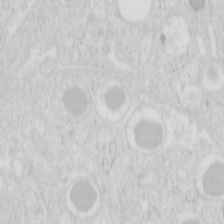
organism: Mouse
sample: Pancreas